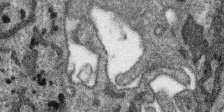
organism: Human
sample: Lung epithelial cells infected with SARS-CoV-2